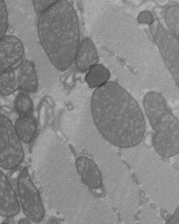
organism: C57BL Mouse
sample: Heart